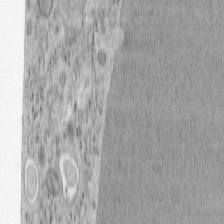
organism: Human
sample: HeLa cells